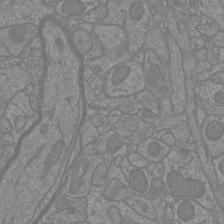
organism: Mouse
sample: Cortical neurons